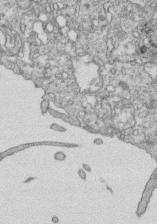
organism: Human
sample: HeLa cell HIV synapse